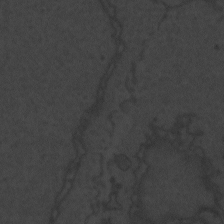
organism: Zebrafish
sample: Macrophage infected with Toxoplasma gondii